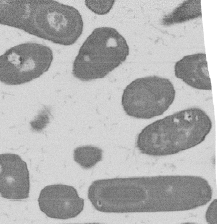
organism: B. subtilis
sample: Bacterial spore